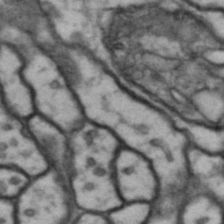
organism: Drosophila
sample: Brain